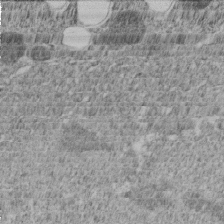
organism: C. elegans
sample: C. elegans embryo early stage